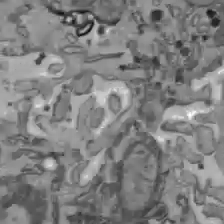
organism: C57BL Mouse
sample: Liver